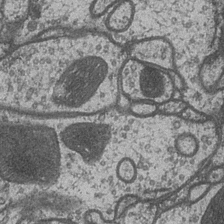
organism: Drosophila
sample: Optic medulla